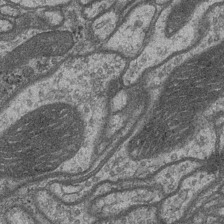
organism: Drosophila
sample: Optic medulla